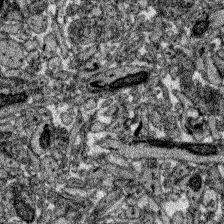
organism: Zebrafish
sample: Larval olfactory bulb